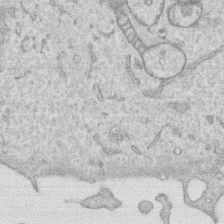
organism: Human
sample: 1205lu cells